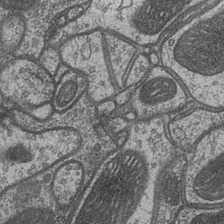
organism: Drosophila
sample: Optic medulla